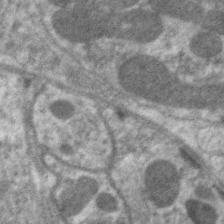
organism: C. elegans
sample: Pharynx